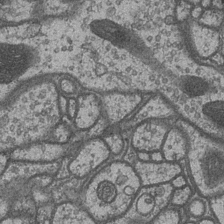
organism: Drosophila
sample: Optic medulla